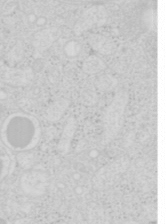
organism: Mouse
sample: Pancreas